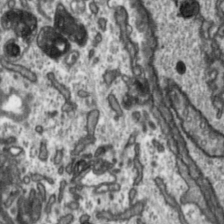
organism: Toxoplasma gondii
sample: Parasites in a vacuole inside a host cell